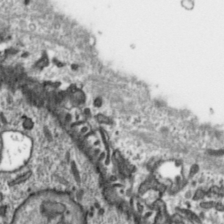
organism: Toxoplasma gondii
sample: Parasites in a vacuole inside a host cell